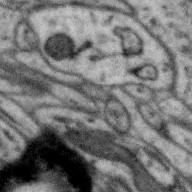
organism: Zebra finch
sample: Brain